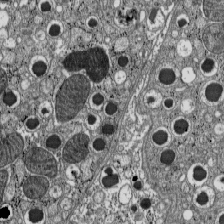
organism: C57BL Mouse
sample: Pancreatic islet